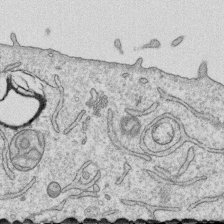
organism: Human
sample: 1205lu cells